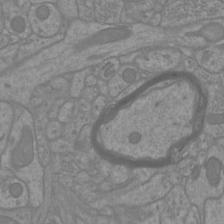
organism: Mouse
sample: Cortical neurons